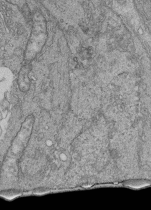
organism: Human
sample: Retinal organoid Rod and Cone cells